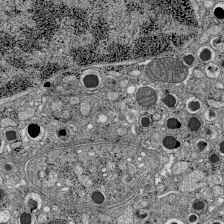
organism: C57BL Mouse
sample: Pancreatic islet